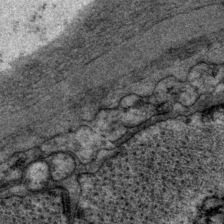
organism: P. pacificus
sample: Pharynx